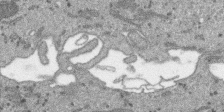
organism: Human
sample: Lung epithelial cells infected with SARS-CoV-2